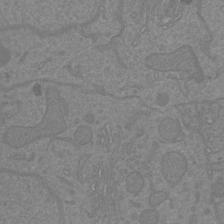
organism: Mouse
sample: Cortical neurons